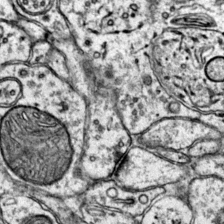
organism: Mouse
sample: Primary visual cortex